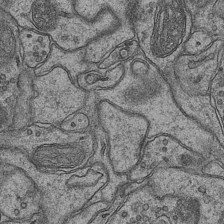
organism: Mouse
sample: CA1 Hippocampus